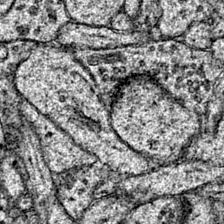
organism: Mouse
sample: Primary visual cortex